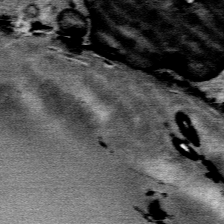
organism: Mouse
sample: Mouse Salivary gland